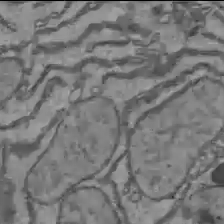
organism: C57BL Mouse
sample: Liver